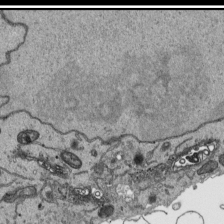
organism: Human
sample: Mitochondria in HCT116 cells